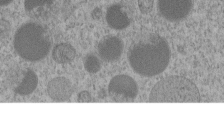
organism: C. elegans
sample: C. elegans embryo early stage